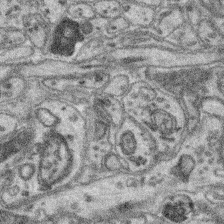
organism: Mouse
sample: Retina